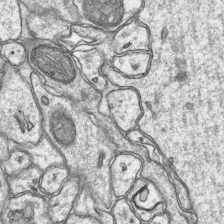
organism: Mouse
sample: CA1 Hippocampus